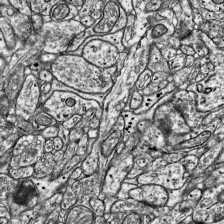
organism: Mouse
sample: Visual Cortex